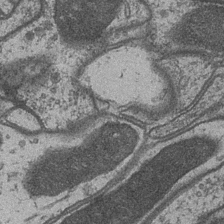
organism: Drosophila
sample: Optic medulla